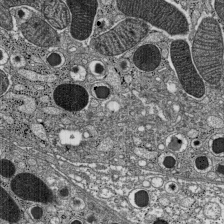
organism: C57BL Mouse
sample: Pancreatic islet